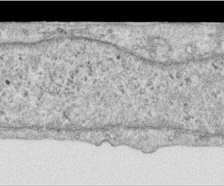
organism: Human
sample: Centriole in RPE cells